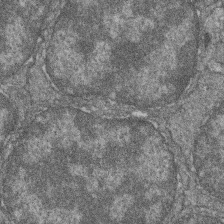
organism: Zebrafish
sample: Cilia; retinal pigment epithelium